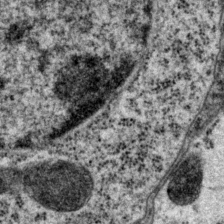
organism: P. pacificus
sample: Pharynx